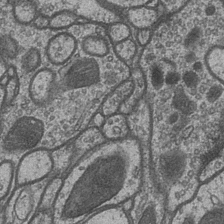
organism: Drosophila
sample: Optic medulla